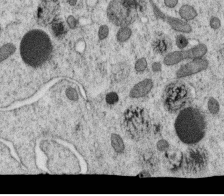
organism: C. elegans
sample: C. elegans oocyte; sperm cells